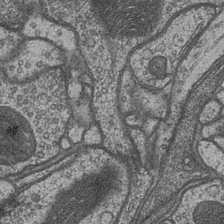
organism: Drosophila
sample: Optic medulla